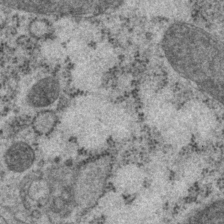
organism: P. pacificus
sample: Pharynx